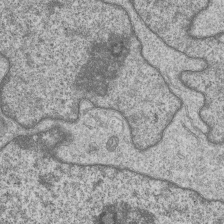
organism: Human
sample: MDA-MB-231 cells